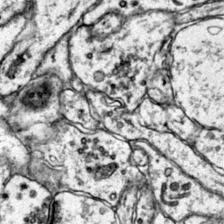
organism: Mouse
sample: Primary visual cortex